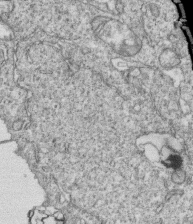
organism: Human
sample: HeLa cell HIV synapse